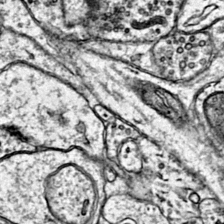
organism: Mouse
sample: Primary visual cortex